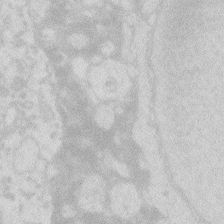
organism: Zebrafish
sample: Macrophage